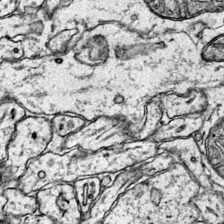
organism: Mouse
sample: Primary visual cortex